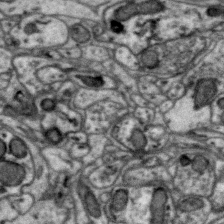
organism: Zebra finch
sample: Brain